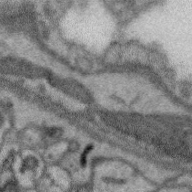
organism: Zebra finch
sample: Brain